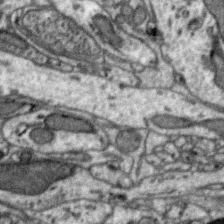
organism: Zebra finch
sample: Brain